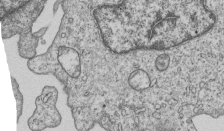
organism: Human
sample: MDA-MB-231 cells